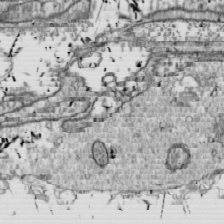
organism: Drosophila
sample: Cell division; meiosis; drosophila spermatocytes